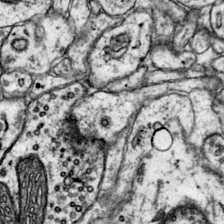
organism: Mouse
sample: Primary visual cortex